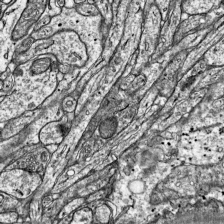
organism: Mouse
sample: Visual Cortex